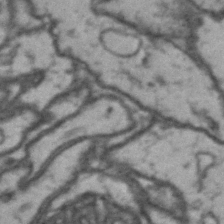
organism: Drosophila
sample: Brain